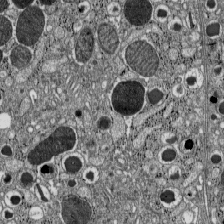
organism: C57BL Mouse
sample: Pancreatic islet